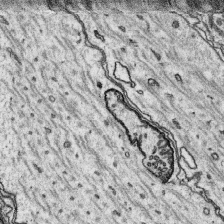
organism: Platynereis dumerilii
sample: Parapodia